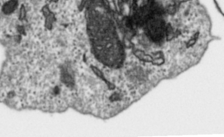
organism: Toxoplasma gondii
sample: Parasites in a vacuole inside a host cell